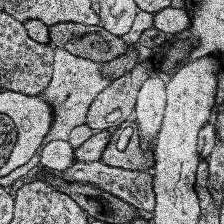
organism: Human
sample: Temporal Lobe